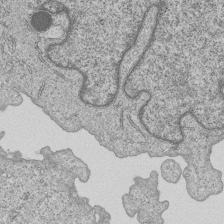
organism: Human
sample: MDA-MB-231 cells